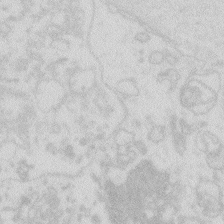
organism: Zebrafish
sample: Macrophage